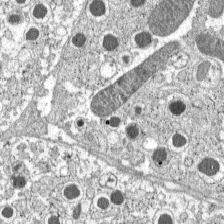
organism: C57BL Mouse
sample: Pancreatic islet